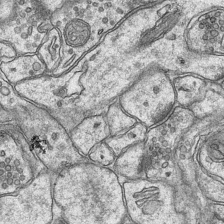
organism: Mouse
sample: CA1 Hippocampus